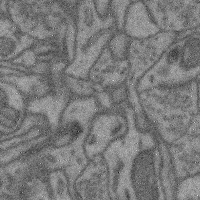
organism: Mouse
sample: Cerebral cortex